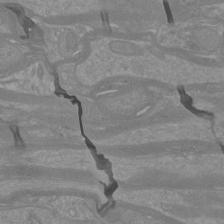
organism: Mouse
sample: Cortical neurons